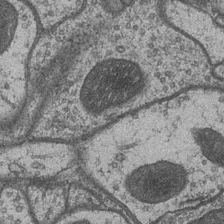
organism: Drosophila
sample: Optic medulla